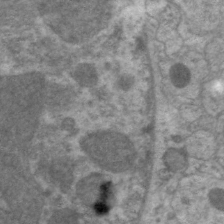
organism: C. elegans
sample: Pharynx